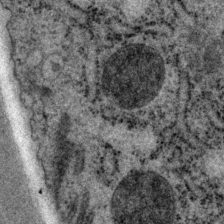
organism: P. pacificus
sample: Pharynx